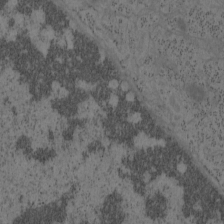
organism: Mouse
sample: OT-I killer T cells with ID8 ovarian cancer cells